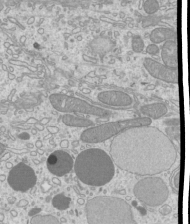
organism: Mouse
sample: Cilia; mouse epididymis